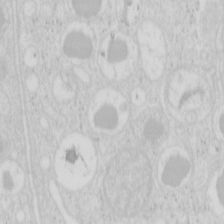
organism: Mouse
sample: Pancreas